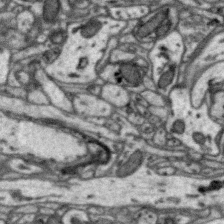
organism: Zebra finch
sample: Brain